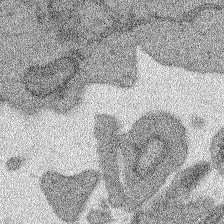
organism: Human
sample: HeLa cells